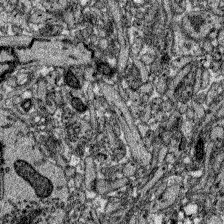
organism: Zebrafish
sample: Larval olfactory bulb